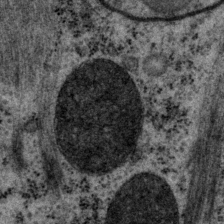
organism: P. pacificus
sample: Pharynx